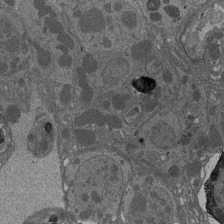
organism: Drosophila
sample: Antenna